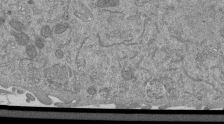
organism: Mouse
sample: ED-1 cell nuclei; centrioles